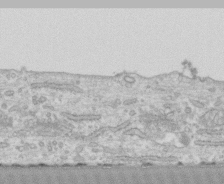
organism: Human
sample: CRL-1474